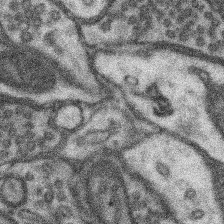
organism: Mouse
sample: Somatosensory cortex neuropil